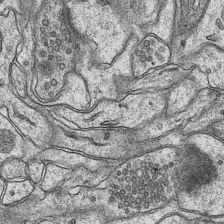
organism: Mouse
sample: CA1 Hippocampus